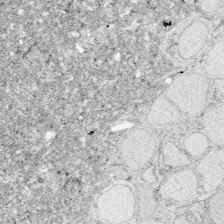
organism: Zebrafish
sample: Whole-Brain